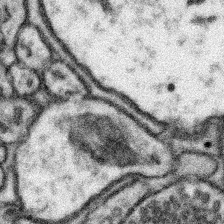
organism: Mouse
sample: Somatosensory cortex neuropil